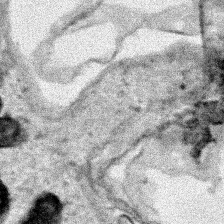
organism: Human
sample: Mitochondria in HCT116 cells